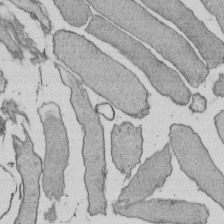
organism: E. coli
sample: Bacterial nucleoid